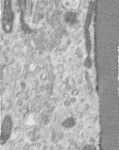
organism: Human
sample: Centriole in RPE cells